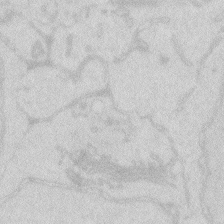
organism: Zebrafish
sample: Macrophage